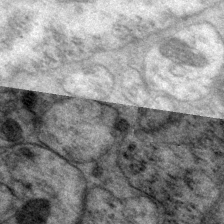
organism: P. pacificus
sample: Pharynx